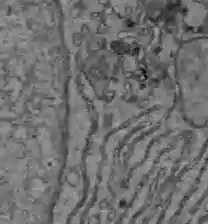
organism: C57BL Mouse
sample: Liver